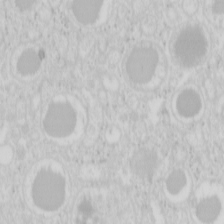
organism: Mouse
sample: Pancreas